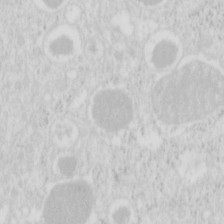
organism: Mouse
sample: Pancreas